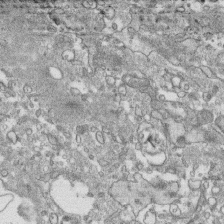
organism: Human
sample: CRL-1474